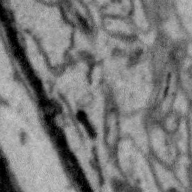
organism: Zebra finch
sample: Brain